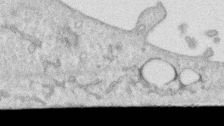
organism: Human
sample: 1205lu cells